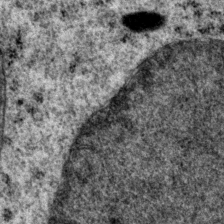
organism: P. pacificus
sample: Pharynx